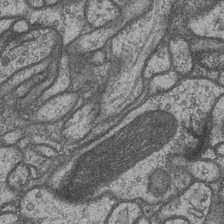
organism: Drosophila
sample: Optic medulla